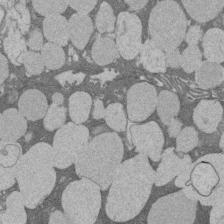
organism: Rat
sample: Salivary granule